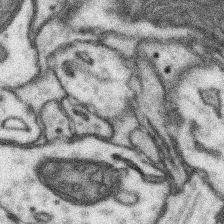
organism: Mouse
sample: Somatosensory cortex neuropil